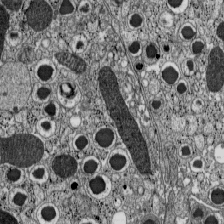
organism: C57BL Mouse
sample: Pancreatic islet